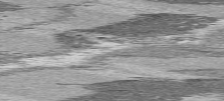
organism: C57BL Mouse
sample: Heart